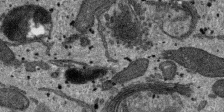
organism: Human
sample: Lung epithelial cells, uninfected (mock) control